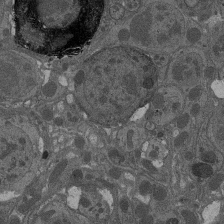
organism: Drosophila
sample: Antenna